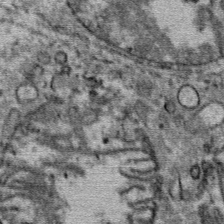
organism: Mouse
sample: Mouse Salivary gland